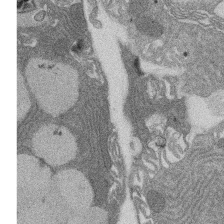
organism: Rat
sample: Salivary granule